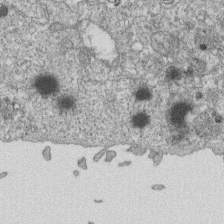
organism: Human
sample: HeLa cell HIV synapse